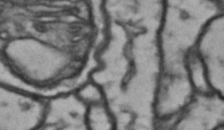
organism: Drosophila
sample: Brain